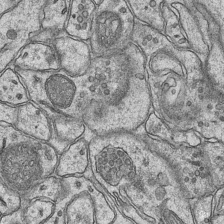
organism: Mouse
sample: CA1 Hippocampus